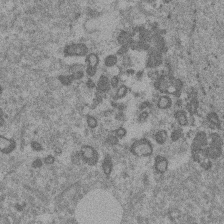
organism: Mouse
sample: Dividing mouse embryo 1 cell stage